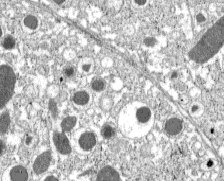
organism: C57BL Mouse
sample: Pancreatic islet